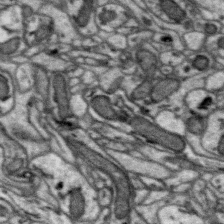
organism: Zebra finch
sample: Brain